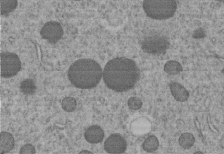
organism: C. elegans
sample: C. elegans embryo early stage